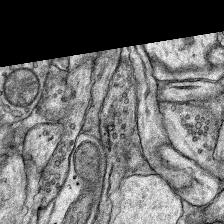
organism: Rat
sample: Hippocampus